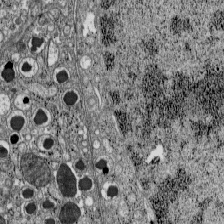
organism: C57BL Mouse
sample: Pancreatic islet